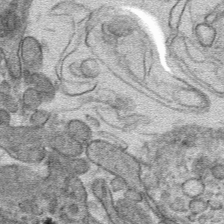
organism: Mouse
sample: Mouse hepatocytes